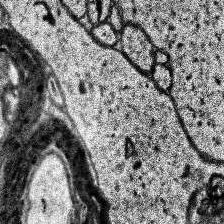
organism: Human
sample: Temporal Lobe